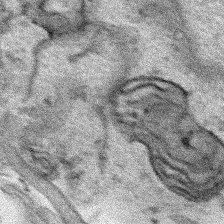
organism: Human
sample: Mitochondria in HCT116 cells